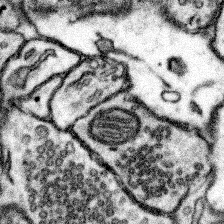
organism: Mouse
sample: Somatosensory cortex neuropil